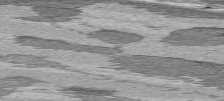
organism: C57BL Mouse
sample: Heart